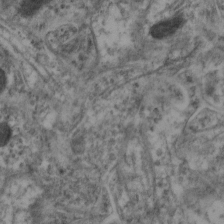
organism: Mouse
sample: Neocortex